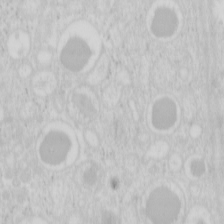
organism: Mouse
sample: Pancreas